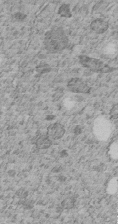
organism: C. elegans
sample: C. elegans embryo early stage